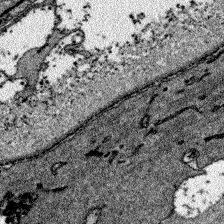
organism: Zebrafish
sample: Larval olfactory bulb